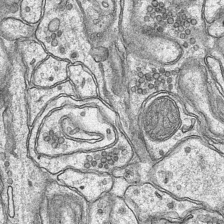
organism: Mouse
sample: CA1 Hippocampus